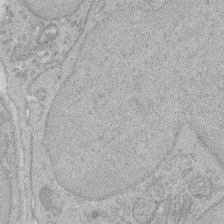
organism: Rat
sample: Salivary granule